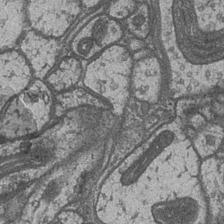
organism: Drosophila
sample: Optic medulla